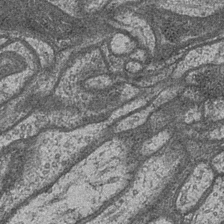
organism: Drosophila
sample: Optic medulla